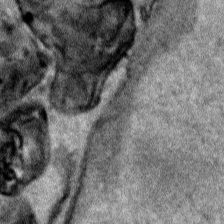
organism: Human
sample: Mitochondria in HCT116 cells